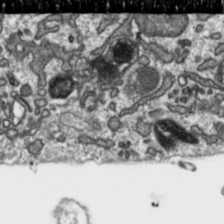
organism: Toxoplasma gondii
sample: Parasites in a vacuole inside a host cell